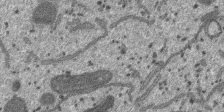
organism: Human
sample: Lung epithelial cells infected with SARS-CoV-2